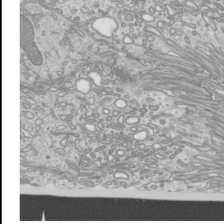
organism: Mouse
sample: Cilia; mouse epididymis